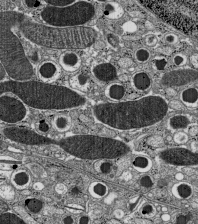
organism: C57BL Mouse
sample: Pancreatic islet